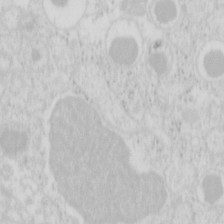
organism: Mouse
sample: Pancreas